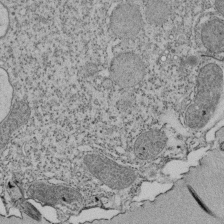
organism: Tetrahymena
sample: Cilia in tetrahymena